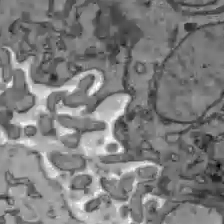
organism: C57BL Mouse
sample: Liver